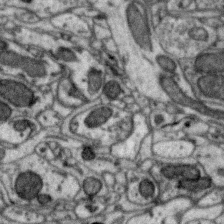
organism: Zebra finch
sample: Brain